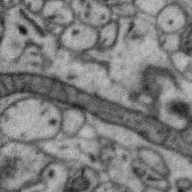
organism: Zebra finch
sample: Brain